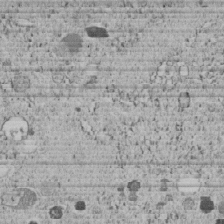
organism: C. elegans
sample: C. elegans embryo early stage